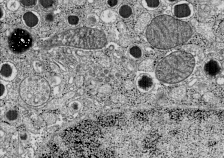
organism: C57BL Mouse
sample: Pancreatic islet